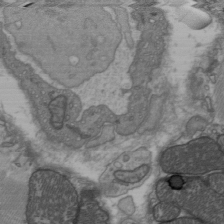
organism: C57BL Mouse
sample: Heart